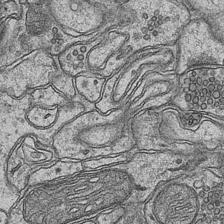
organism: Mouse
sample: CA1 Hippocampus